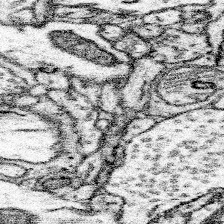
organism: Mouse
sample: Somatosensory cortex neuropil